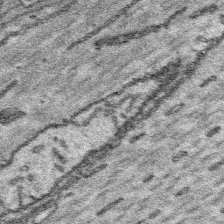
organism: Platynereis dumerilii